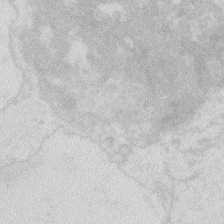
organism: Zebrafish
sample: Macrophage